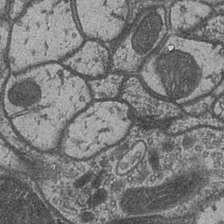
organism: Drosophila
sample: Optic medulla